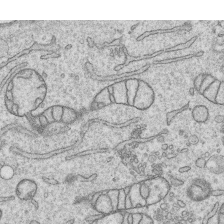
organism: Human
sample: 1205lu cells